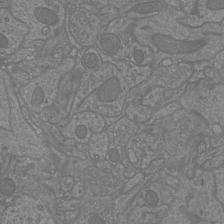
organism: Mouse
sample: Cortical neurons